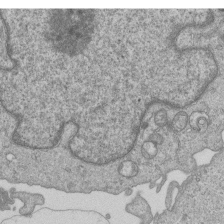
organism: Human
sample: MDA-MB-231 cells